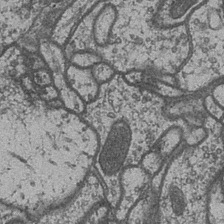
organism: Drosophila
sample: Optic medulla